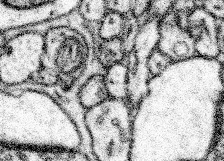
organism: Mouse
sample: Somatosensory cortex neuropil